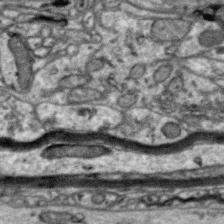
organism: Zebra finch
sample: Brain